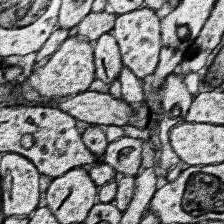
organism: Human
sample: Temporal Lobe